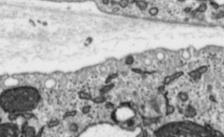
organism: Toxoplasma gondii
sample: Parasites in a vacuole inside a host cell